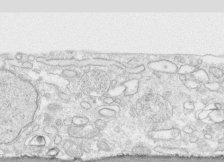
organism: Human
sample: CRL-1474